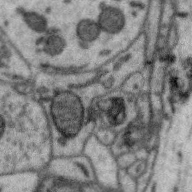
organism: Zebra finch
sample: Brain